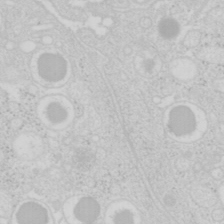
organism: Mouse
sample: Pancreas